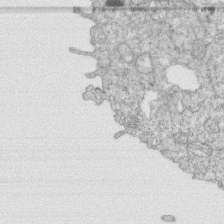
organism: Human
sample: HeLa cell HIV synapse